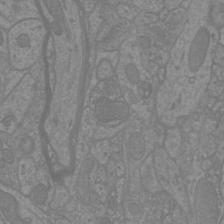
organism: Mouse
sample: Cortical neurons